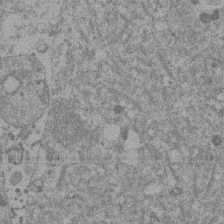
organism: Mouse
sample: Dividing mouse embryo 1 cell stage